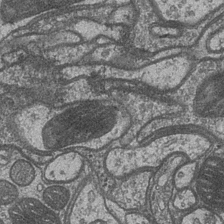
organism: Drosophila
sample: Optic medulla